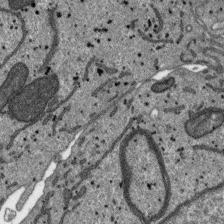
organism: Human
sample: Lung epithelial cells, uninfected (mock) control